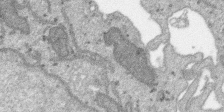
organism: Human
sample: Lung epithelial cells infected with SARS-CoV-2